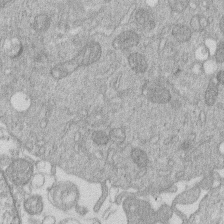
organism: Human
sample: Macrophage cells